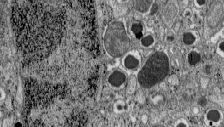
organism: C57BL Mouse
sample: Pancreatic islet